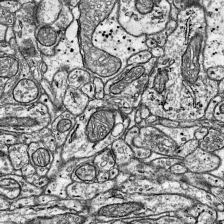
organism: Mouse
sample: Visual Cortex